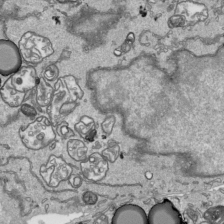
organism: Human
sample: Mitochondria in HCT116 cells